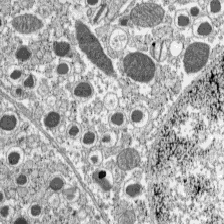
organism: C57BL Mouse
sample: Pancreatic islet